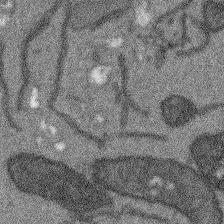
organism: Arabidopsis thaliana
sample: Root tip